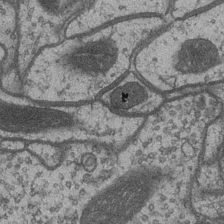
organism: Drosophila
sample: Optic medulla